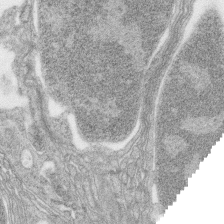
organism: Zebrafish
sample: synaptic ribbons in rod cells and cone cells